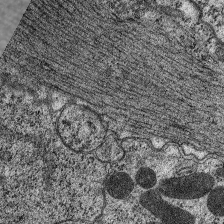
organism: C. elegans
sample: Pharynx